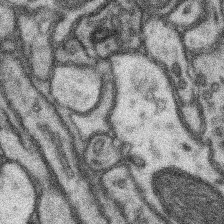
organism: Mouse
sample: Somatosensory cortex neuropil